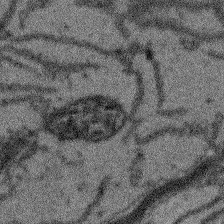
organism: Arabidopsis thaliana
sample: Root tip